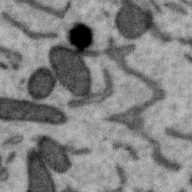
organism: Zebra finch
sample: Brain